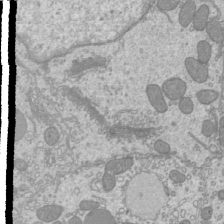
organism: Mouse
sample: Cilia; mouse epididymis